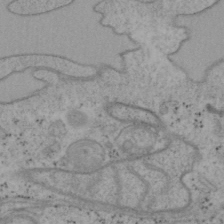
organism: Human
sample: HeLa cells